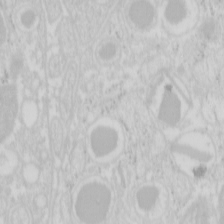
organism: Mouse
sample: Pancreas